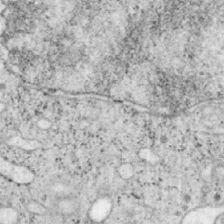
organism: Mouse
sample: OT-I killer T cells with ID8 ovarian cancer cells